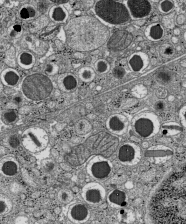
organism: C57BL Mouse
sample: Pancreatic islet